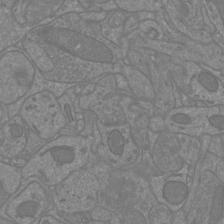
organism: Mouse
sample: Cortical neurons